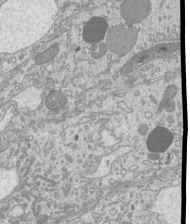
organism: Mouse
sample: Cilia; mouse epididymis